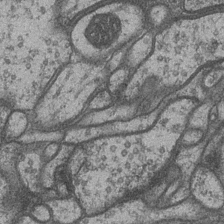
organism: Drosophila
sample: Optic medulla